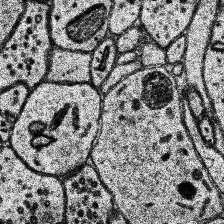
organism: Human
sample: Temporal Lobe